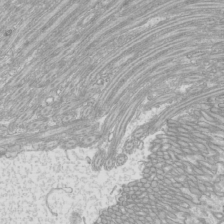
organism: Mouse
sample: Cilia; mouse epididymis